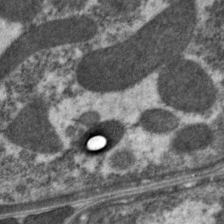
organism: C. elegans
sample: Pharynx